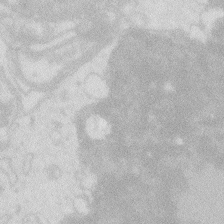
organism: Zebrafish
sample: Macrophage